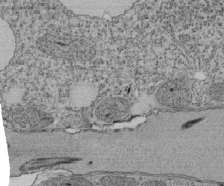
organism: Tetrahymena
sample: Cilia in tetrahymena